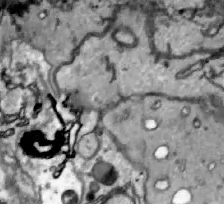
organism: Zebrafish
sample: Actinotrichia fibers